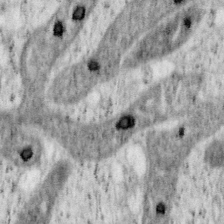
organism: Mouse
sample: OT-I killer T cells with ID8 ovarian cancer cells